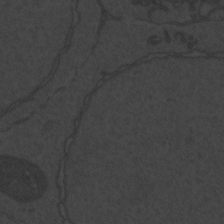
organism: Zebrafish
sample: Macrophage infected with Toxoplasma gondii